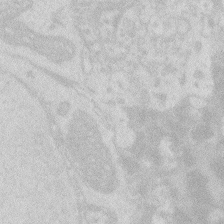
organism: Zebrafish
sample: Macrophage